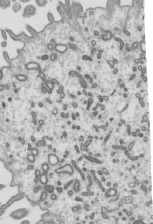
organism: Mouse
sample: Mouse epididymis efferent ductule cilia